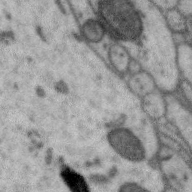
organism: Zebra finch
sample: Brain